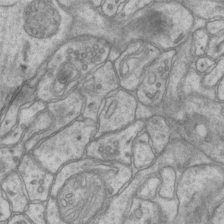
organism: Mouse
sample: CA1 Hippocampus